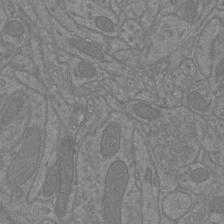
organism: Mouse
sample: Cortical neurons